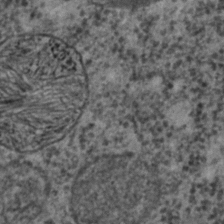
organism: C. elegans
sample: C. elegans embryo